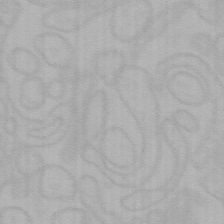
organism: Mouse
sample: Choroid plexus